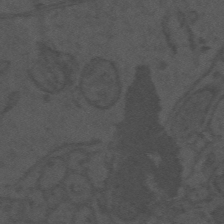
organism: Mouse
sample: Suprachiasmatic nucleus